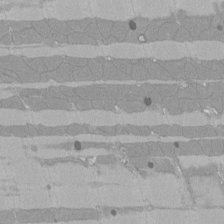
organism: Rat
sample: Left ventricle